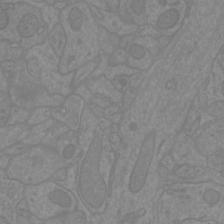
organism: Mouse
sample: Cortical neurons